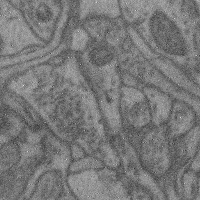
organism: Mouse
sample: Cerebral cortex